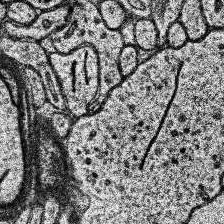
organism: Human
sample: Temporal Lobe